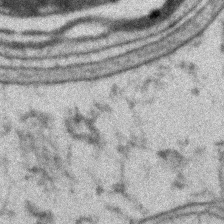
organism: Zebrafish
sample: Zebrafish embryo